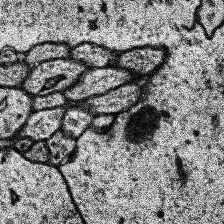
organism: Human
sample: Temporal Lobe